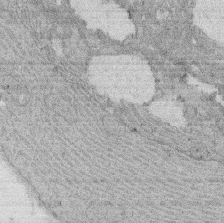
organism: Rat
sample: Salivary granule